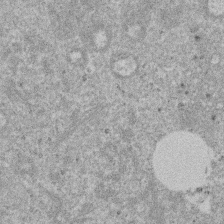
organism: Mouse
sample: Dividing mouse embryo 1 cell stage